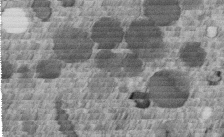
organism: C. elegans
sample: C. elegans embryo early stage